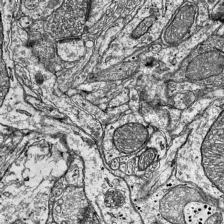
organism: Mouse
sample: Visual Cortex